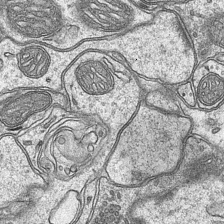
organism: Mouse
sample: CA1 Hippocampus